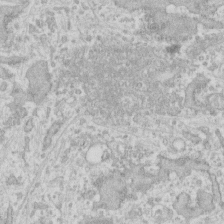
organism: Human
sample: Fibroblast cells